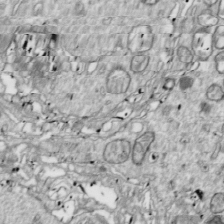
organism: Drosophila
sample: Cell division; meiosis; drosophila spermatocytes